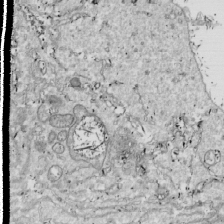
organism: Drosophila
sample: Cell division; meiosis; drosophila spermatocytes